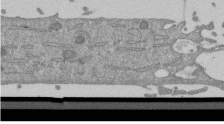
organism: Mouse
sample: ED-1 cell nuclei; centrioles